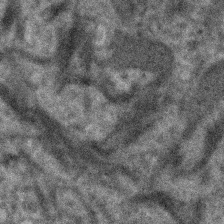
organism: Human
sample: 1205lu cells